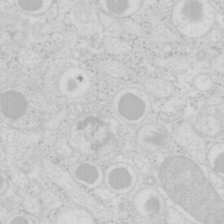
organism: Mouse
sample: Pancreas